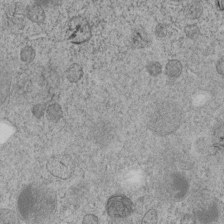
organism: C. elegans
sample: C. elegans embryo early stage